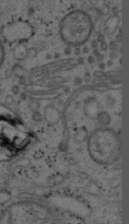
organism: Human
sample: HeLa cells